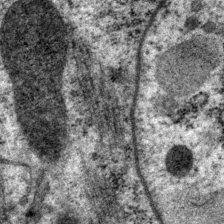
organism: P. pacificus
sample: Pharynx